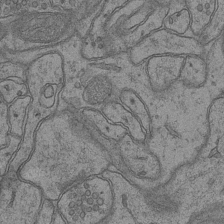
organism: Mouse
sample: CA1 Hippocampus